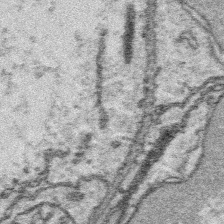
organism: Platynereis dumerilii